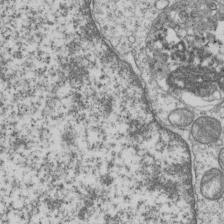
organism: Human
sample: MDA-MB-231 cells